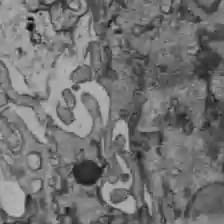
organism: C57BL Mouse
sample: Liver